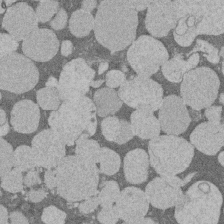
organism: Rat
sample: Salivary granule